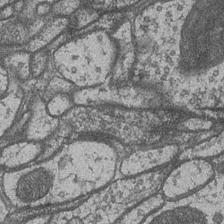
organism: Drosophila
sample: Optic medulla